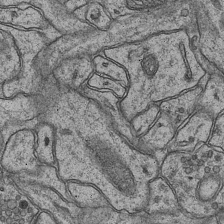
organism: Mouse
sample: CA1 Hippocampus